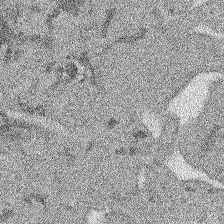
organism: Human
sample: HeLa cells